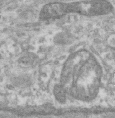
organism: Human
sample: Centriole in RPE cells